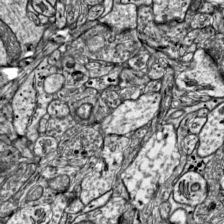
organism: Mouse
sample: Visual Cortex